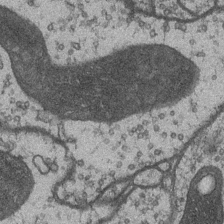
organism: Drosophila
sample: Optic medulla